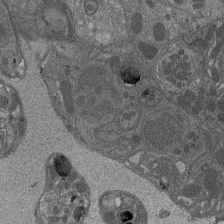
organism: Drosophila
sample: Antenna